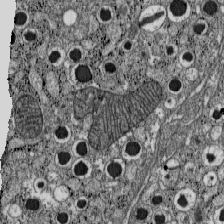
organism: C57BL Mouse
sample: Pancreatic islet